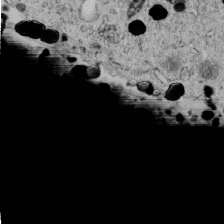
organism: C. elegans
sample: C. elegans embryo early stage